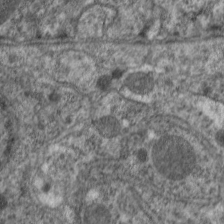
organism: C. elegans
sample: Pharynx